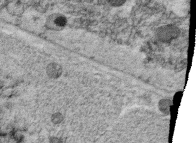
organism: C. elegans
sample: C. elegans oocyte; sperm cells